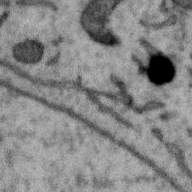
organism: Zebra finch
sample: Brain